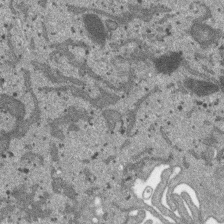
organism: Human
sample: Lung epithelial cells infected with SARS-CoV-2